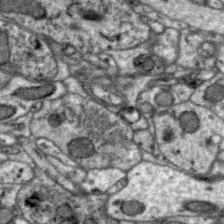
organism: Zebra finch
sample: Brain